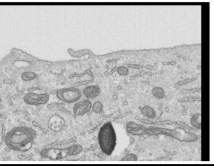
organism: Human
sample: Centriole in RPE cells